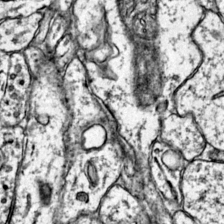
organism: Mouse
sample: Primary visual cortex